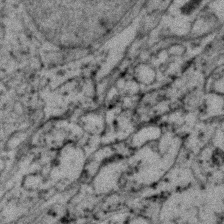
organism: Zebrafish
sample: Zebrafish embryo